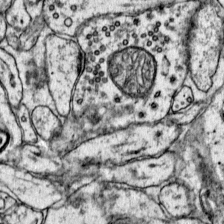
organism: Mouse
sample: Primary visual cortex